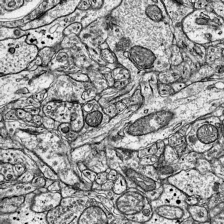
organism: Mouse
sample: Visual Cortex